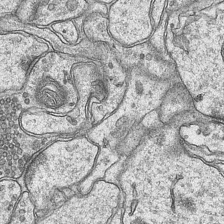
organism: Mouse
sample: CA1 Hippocampus